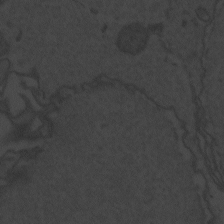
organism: Zebrafish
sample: Macrophage infected with Toxoplasma gondii